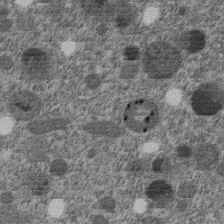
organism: C. elegans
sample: C. elegans embryo early stage